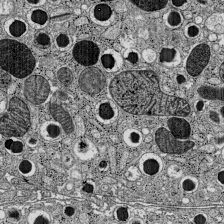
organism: C57BL Mouse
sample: Pancreatic islet